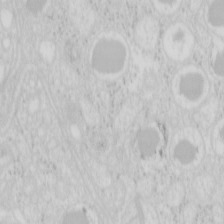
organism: Mouse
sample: Pancreas